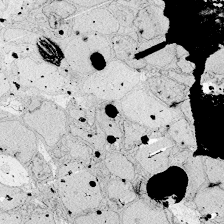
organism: Zebrafish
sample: Whole-Brain